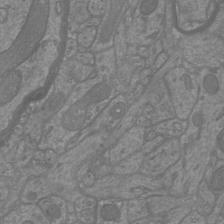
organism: Mouse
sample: Cortical neurons